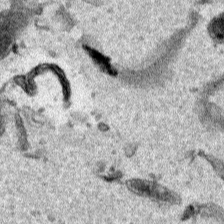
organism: Human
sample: Mitochondria in HCT116 cells